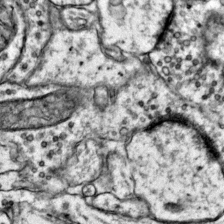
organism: Mouse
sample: Primary visual cortex